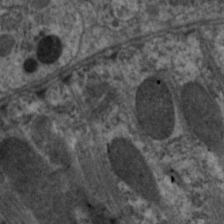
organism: C. elegans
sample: Pharynx